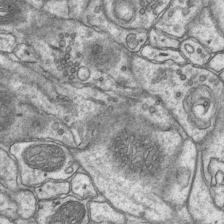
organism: Mouse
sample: CA1 Hippocampus